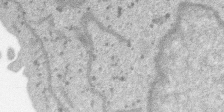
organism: Human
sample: Lung epithelial cells infected with SARS-CoV-2